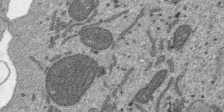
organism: Human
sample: Lung epithelial cells infected with SARS-CoV-2